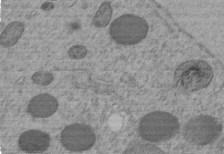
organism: C. elegans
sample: C. elegans embryo early stage